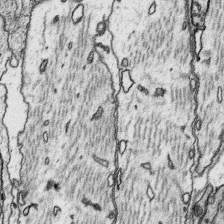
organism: Platynereis dumerilii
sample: Parapodia